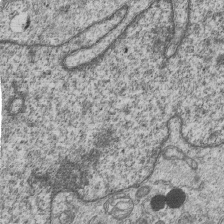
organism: Human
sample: MDA-MB-231 cells